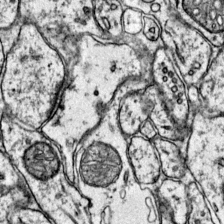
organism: Mouse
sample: Primary visual cortex